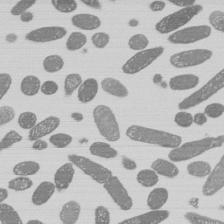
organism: E. coli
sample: Bacterial nucleoid